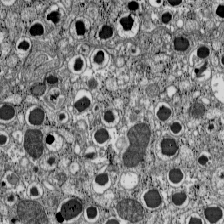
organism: C57BL Mouse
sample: Pancreatic islet